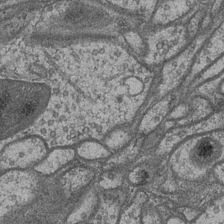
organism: Drosophila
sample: Optic medulla